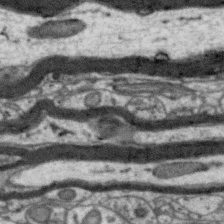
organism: Zebra finch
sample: Brain